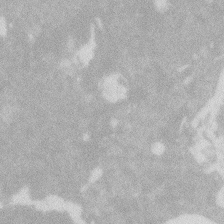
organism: Zebrafish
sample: Macrophage